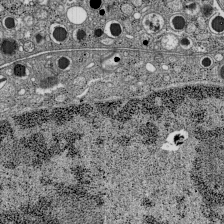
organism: C57BL Mouse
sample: Pancreatic islet